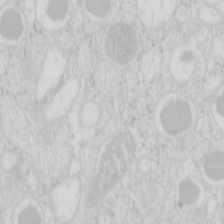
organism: Mouse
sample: Pancreas